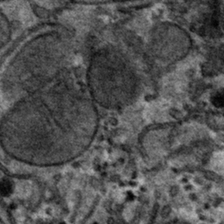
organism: Mouse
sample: Mouse hepatocytes